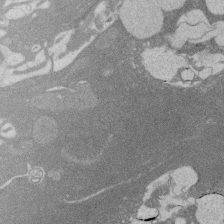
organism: Rat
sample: Salivary granule